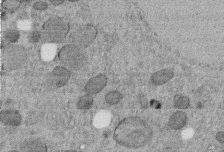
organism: C. elegans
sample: C. elegans embryo early stage